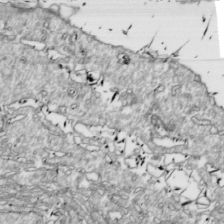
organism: Drosophila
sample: Cell division; meiosis; drosophila spermatocytes